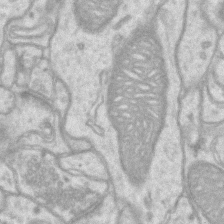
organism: Mouse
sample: CA1 Hippocampus